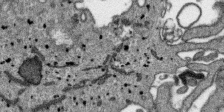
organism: Human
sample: Lung epithelial cells, uninfected (mock) control